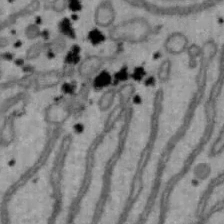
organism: Mouse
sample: Liver